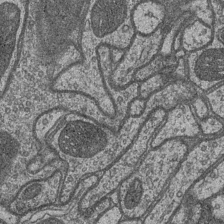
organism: Drosophila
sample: Optic medulla